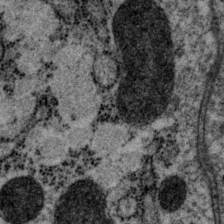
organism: P. pacificus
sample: Pharynx